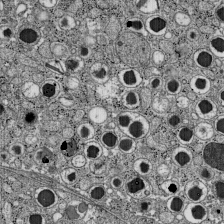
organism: C57BL Mouse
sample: Pancreatic islet